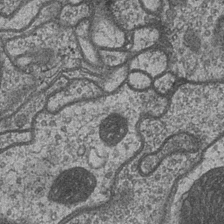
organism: Drosophila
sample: Optic medulla